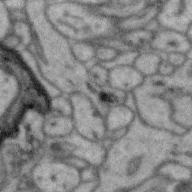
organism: Zebra finch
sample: Brain